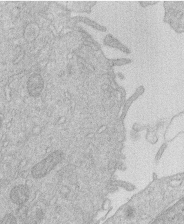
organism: Human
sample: Macrophage cells